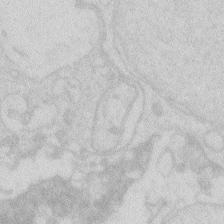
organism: Zebrafish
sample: Macrophage